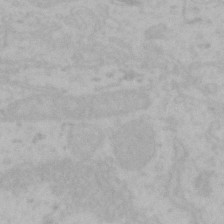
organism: Mouse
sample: Choroid plexus